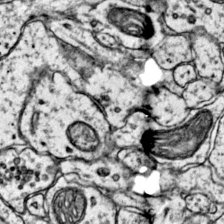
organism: Mouse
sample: Primary visual cortex